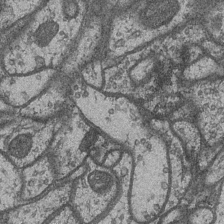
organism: Drosophila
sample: Optic medulla